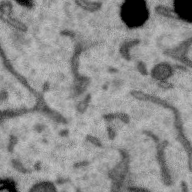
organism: Zebra finch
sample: Brain